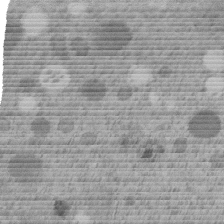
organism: C. elegans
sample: C. elegans embryo early stage